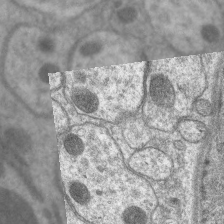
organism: C. elegans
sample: Pharynx